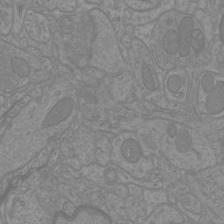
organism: Mouse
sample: Cortical neurons